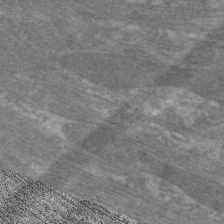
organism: C. elegans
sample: Pharynx